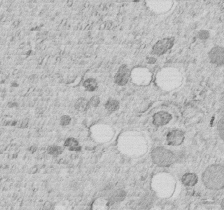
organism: C. elegans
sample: C. elegans embryo early stage